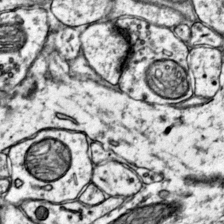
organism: Mouse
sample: Primary visual cortex